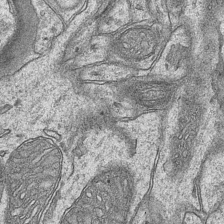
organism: Mouse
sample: CA1 Hippocampus